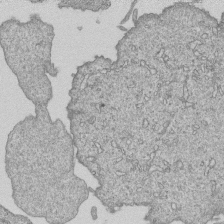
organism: Human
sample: MDA-MB-231 cells